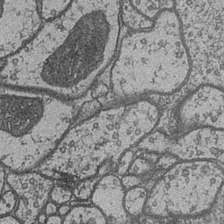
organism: Drosophila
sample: Optic medulla